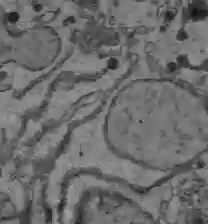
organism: C57BL Mouse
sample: Liver